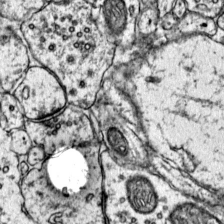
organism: Mouse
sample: Primary visual cortex